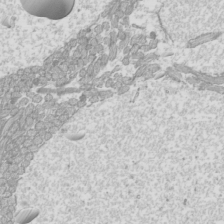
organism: Mouse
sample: Cilia; mouse epididymis